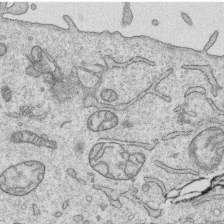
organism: Human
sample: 1205lu cells